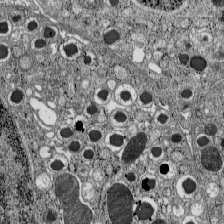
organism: C57BL Mouse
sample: Pancreatic islet